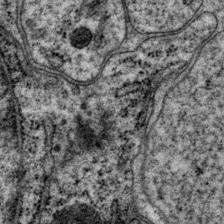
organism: P. pacificus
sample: Pharynx